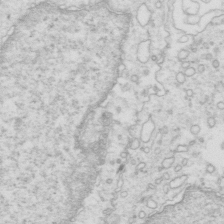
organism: Mouse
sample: Multiciliated cells